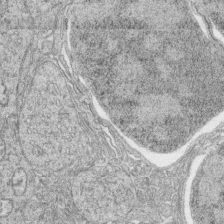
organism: Zebrafish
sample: synaptic ribbons in rod cells and cone cells